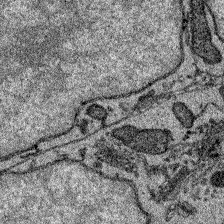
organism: Zebrafish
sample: Larval olfactory bulb